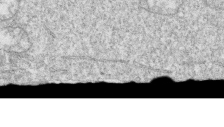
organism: Human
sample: HeLa cell HIV synapse